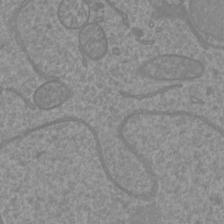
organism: Mouse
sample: Cortical neurons